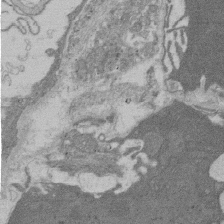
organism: Rat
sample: Salivary granule